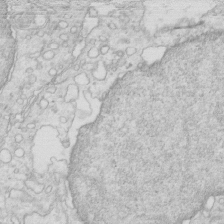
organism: Mouse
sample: Multiciliated cells